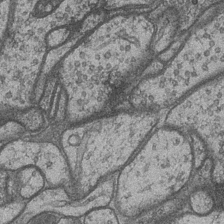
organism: Drosophila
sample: Optic medulla